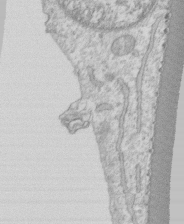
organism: Human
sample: CRL-1474